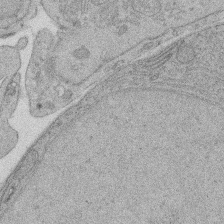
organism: Rat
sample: Salivary granule